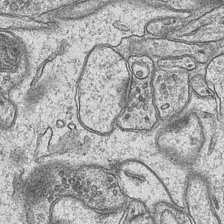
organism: Mouse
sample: CA1 Hippocampus